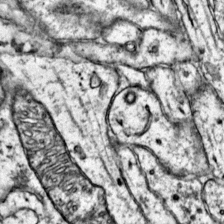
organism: Mouse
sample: Primary visual cortex